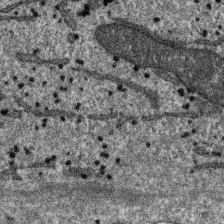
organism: Human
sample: Lung epithelial cells infected with SARS-CoV-2